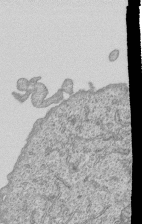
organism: Human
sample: MDA-MB-231 cells